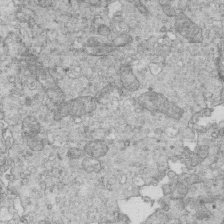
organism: Mouse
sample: Multiciliated cells